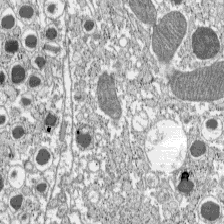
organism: C57BL Mouse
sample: Pancreatic islet